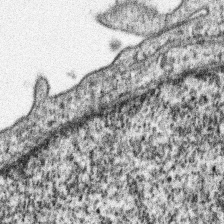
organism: Human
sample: HeLa cells